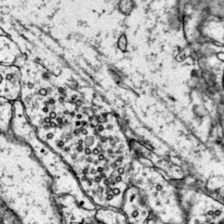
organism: Mouse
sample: Primary visual cortex